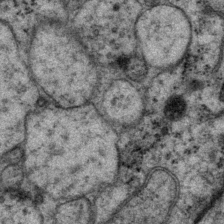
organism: P. pacificus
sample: Pharynx